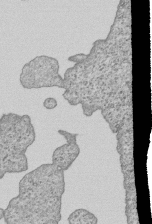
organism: Human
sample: MDA-MB-231 cells